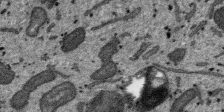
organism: Human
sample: Lung epithelial cells, uninfected (mock) control